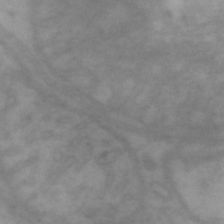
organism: Drosophila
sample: Brain